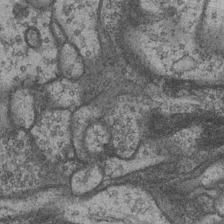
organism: Drosophila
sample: Optic medulla